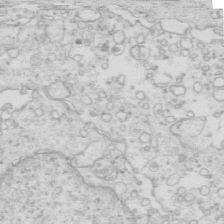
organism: Mouse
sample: Multiciliated cells